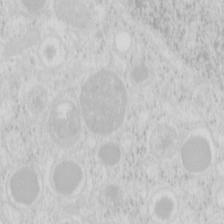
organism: Mouse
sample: Pancreas